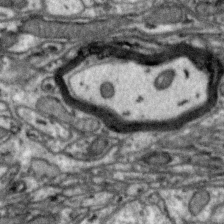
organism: Zebra finch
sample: Brain